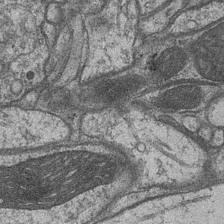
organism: Drosophila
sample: Optic medulla